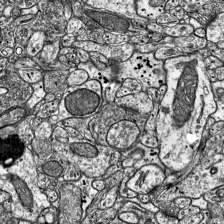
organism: Mouse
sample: Visual Cortex